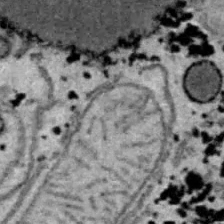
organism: Mouse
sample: Liver from an obese (ob/ob) mouse